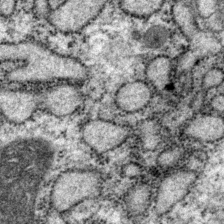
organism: P. pacificus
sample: Pharynx